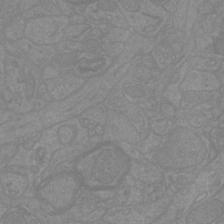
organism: Mouse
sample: Cortical neurons